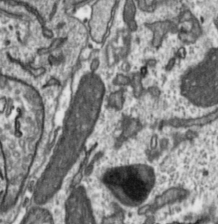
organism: Toxoplasma gondii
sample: Parasites in a vacuole inside a host cell